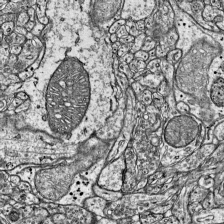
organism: Mouse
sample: Visual Cortex